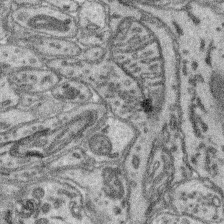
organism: Mouse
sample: Retina